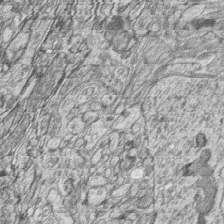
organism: Zebrafish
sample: synaptic ribbons in rod cells and cone cells